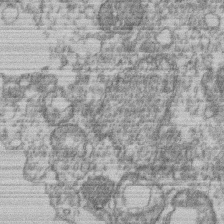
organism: Mouse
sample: T cell stromal cell synapse